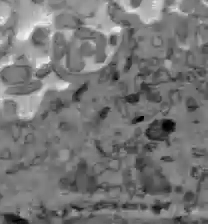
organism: C57BL Mouse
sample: Liver